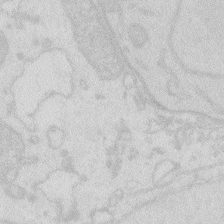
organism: Zebrafish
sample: Macrophage